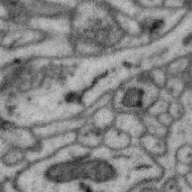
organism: Zebra finch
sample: Brain